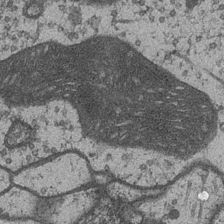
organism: Drosophila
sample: Optic medulla